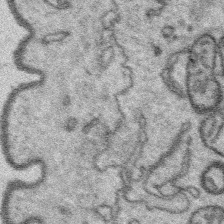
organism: Platynereis dumerilii